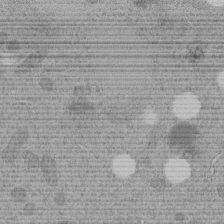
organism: C. elegans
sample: C. elegans embryo early stage